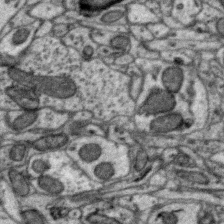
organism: Zebra finch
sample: Brain